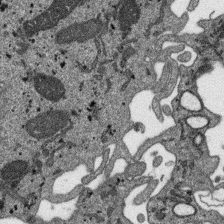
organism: Human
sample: Lung epithelial cells infected with SARS-CoV-2